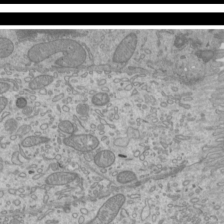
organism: Mouse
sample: Cilia; mouse epididymis